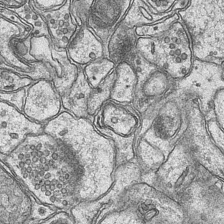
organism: Mouse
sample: CA1 Hippocampus